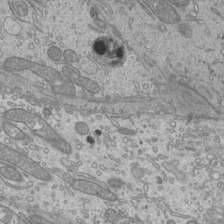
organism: Mouse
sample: Cilia; mouse epididymis